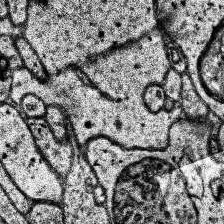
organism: Human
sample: Temporal Lobe